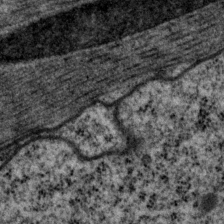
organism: P. pacificus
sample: Pharynx